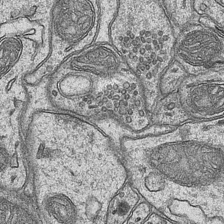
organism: Mouse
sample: CA1 Hippocampus